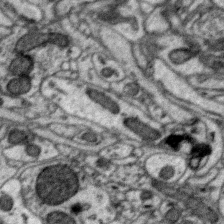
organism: Zebra finch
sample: Brain